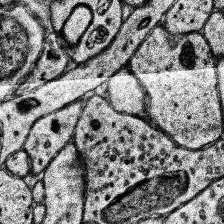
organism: Human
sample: Temporal Lobe